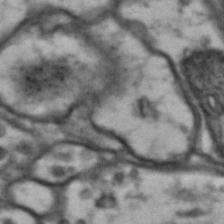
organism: Drosophila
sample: Brain